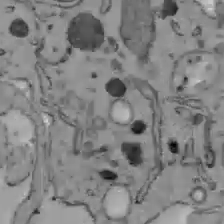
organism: C57BL Mouse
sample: Liver